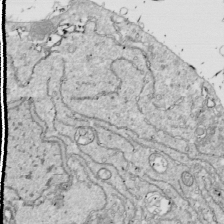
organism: Drosophila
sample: Cell division; meiosis; drosophila spermatocytes